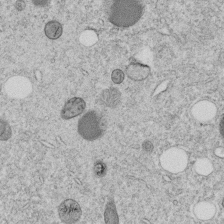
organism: C. elegans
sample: C. elegans embryo early stage